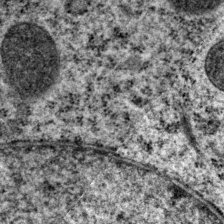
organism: P. pacificus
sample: Pharynx